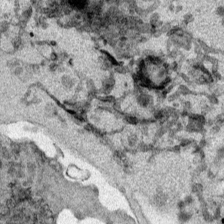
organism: Mouse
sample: Cancer cell death in ED-1 cells